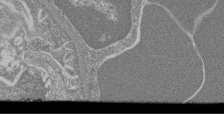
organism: Mouse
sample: Glomerulus